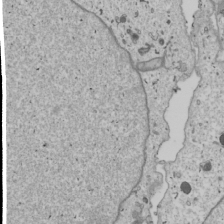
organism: Human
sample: Mitochondria in U2OS cells